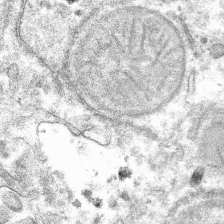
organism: Mouse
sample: Mouse hepatocytes